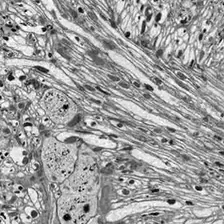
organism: Drosophila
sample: Optic lobe